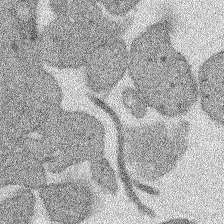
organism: Human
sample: HeLa cells